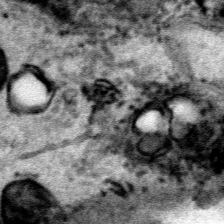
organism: Human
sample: Mitochondria in HCT116 cells